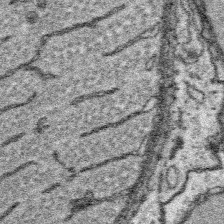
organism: Platynereis dumerilii